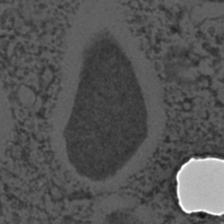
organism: C. elegans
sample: C. elegans embryo